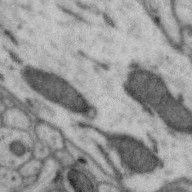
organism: Zebra finch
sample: Brain